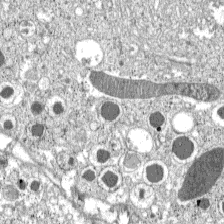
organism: C57BL Mouse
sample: Pancreatic islet